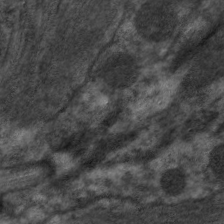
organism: C. elegans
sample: Pharynx